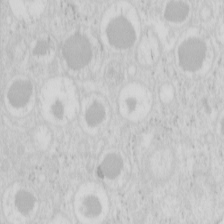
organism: Mouse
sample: Pancreas